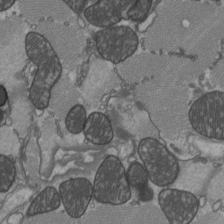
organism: C57BL Mouse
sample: Heart